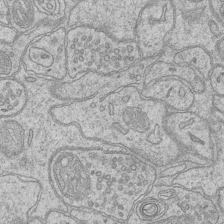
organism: Mouse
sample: CA1 Hippocampus